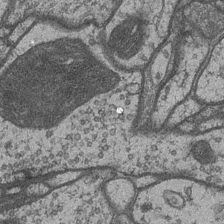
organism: Drosophila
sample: Optic medulla